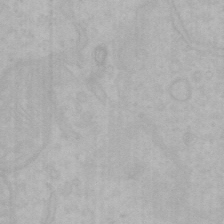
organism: Mouse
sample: Choroid plexus